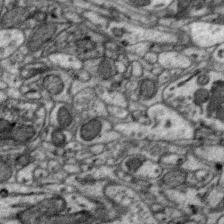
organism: Zebra finch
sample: Brain